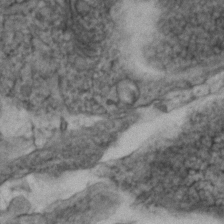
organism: Zebrafish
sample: Zebrafish embryo